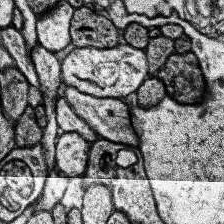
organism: Human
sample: Temporal Lobe